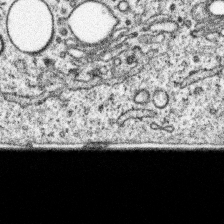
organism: Human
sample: HeLa cells